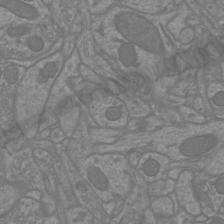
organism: Mouse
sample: Cortical neurons